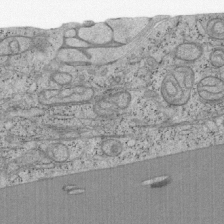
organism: Human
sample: HeLa cells